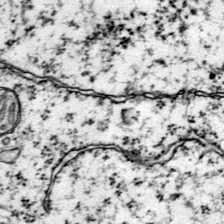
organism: Mouse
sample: Primary visual cortex